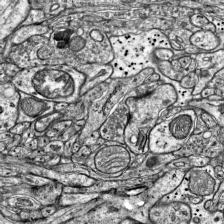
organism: Mouse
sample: Visual Cortex